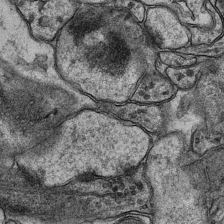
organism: Mouse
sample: CA1 Hippocampus